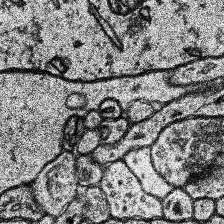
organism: Human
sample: Temporal Lobe